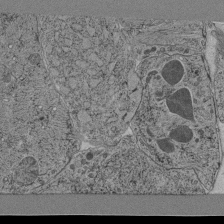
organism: C. elegans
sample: C. elegans pharynx